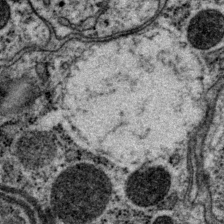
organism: P. pacificus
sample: Pharynx